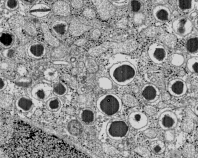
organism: C57BL Mouse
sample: Pancreatic islet